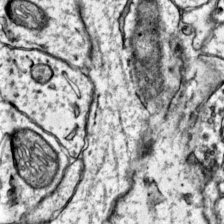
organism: Mouse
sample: Primary visual cortex